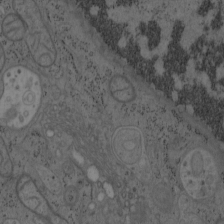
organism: Mouse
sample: OT-I killer T cells with ID8 ovarian cancer cells